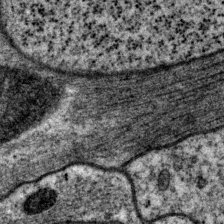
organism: P. pacificus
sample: Pharynx